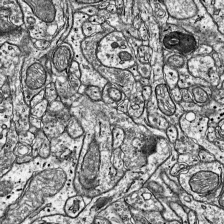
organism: Mouse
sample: Visual Cortex